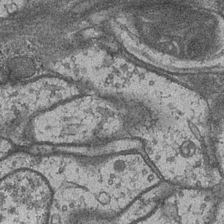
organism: Drosophila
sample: Optic medulla